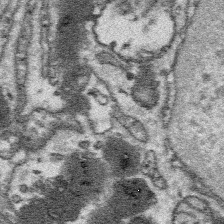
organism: Platynereis dumerilii